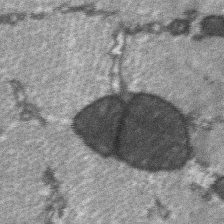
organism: C57BL Mouse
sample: Soleus